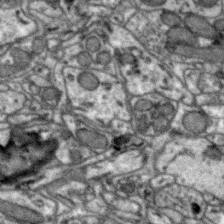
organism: Zebra finch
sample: Brain